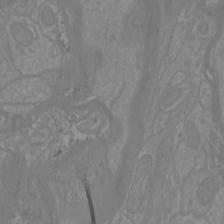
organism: Mouse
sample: Cortical neurons